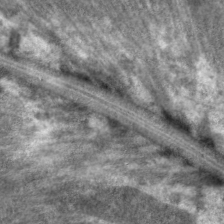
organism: C. elegans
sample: Pharynx